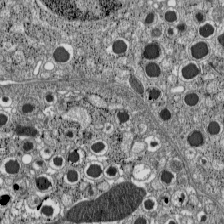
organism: C57BL Mouse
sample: Pancreatic islet